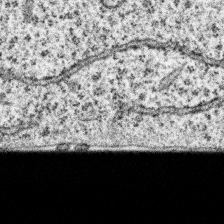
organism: Human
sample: HeLa cells